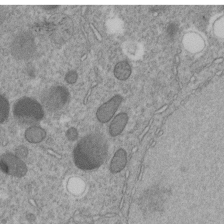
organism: C. elegans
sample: C. elegans embryo early stage